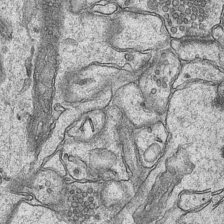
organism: Mouse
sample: CA1 Hippocampus